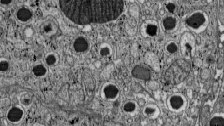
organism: C57BL Mouse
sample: Pancreatic islet